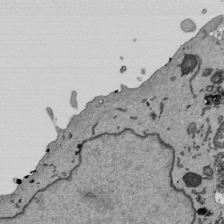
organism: Mouse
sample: ED-1 cell nuclei; centrioles